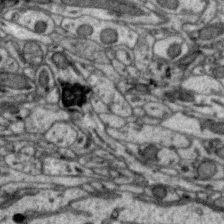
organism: Zebra finch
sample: Brain